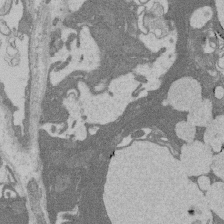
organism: Rat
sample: Salivary granule